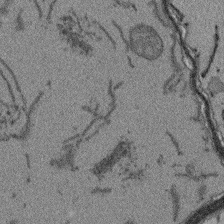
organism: Arabidopsis thaliana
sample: Root tip